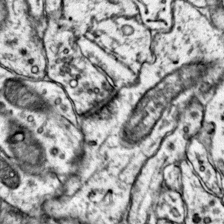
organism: Mouse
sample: Primary visual cortex